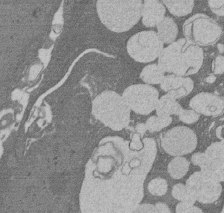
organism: Rat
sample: Salivary granule